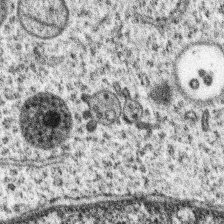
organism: Human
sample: HeLa cells